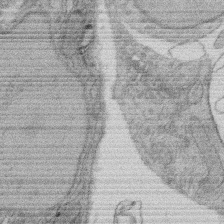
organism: Rat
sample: Salivary granule